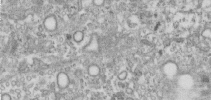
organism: Human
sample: Centriole in RPE cells